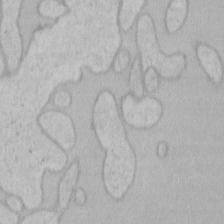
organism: Human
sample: HeLa cells